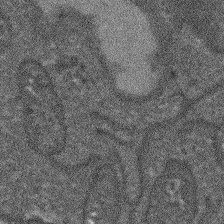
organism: Arabidopsis thaliana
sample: Root tip